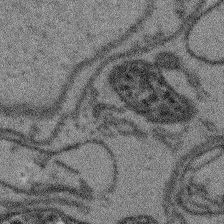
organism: Arabidopsis thaliana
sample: Root tip